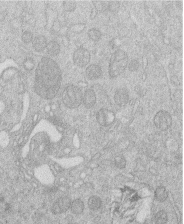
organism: Human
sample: Macrophage cells